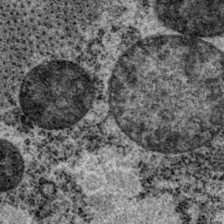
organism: P. pacificus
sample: Pharynx